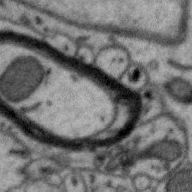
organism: Zebra finch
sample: Brain